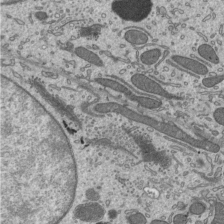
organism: Mouse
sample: Mouse epididymis efferent ductule cilia